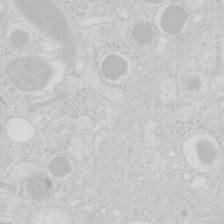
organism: Mouse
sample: Pancreas